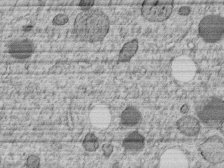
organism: C. elegans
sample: C. elegans embryo early stage